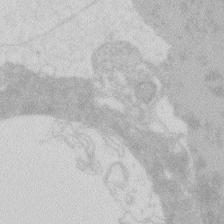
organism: Zebrafish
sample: Macrophage